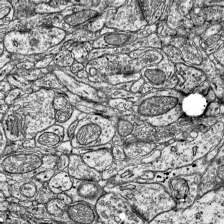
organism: Mouse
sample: Visual Cortex